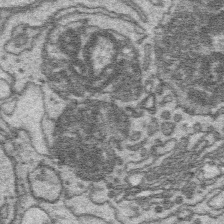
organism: Platynereis dumerilii